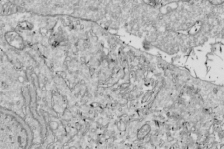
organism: Drosophila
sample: Cell division; meiosis; drosophila spermatocytes